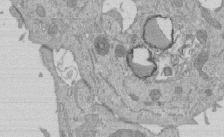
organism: Mouse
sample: ED-1 cell nuclei; centrioles